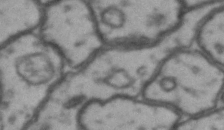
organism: Drosophila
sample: Brain